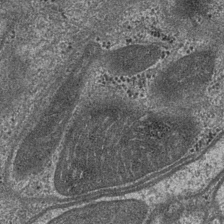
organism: Drosophila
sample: Optic medulla